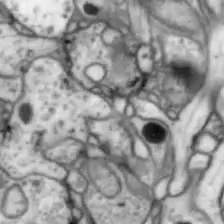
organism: Drosophila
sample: Optic lobe